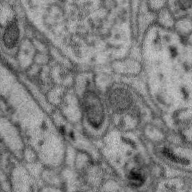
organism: Zebra finch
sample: Brain